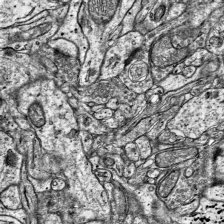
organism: Mouse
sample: Visual Cortex